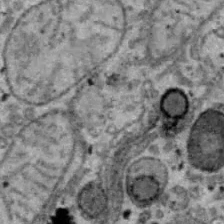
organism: Mouse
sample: Liver from an obese (ob/ob) mouse